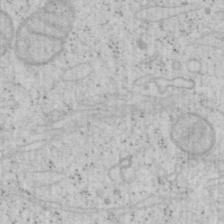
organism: Human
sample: HeLa cells